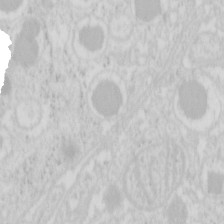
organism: Mouse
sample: Pancreas